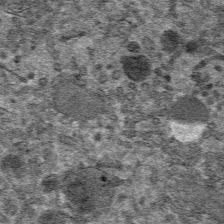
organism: Mouse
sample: Mouse hepatocytes